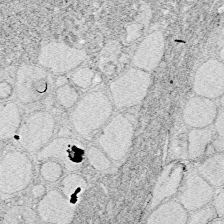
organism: Zebrafish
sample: Whole-Brain